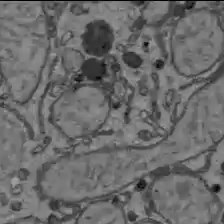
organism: C57BL Mouse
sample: Liver